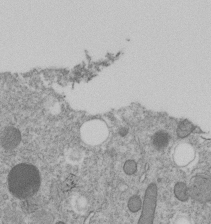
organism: C. elegans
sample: C. elegans embryo early stage